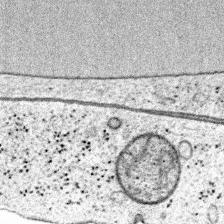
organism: Human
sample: HeLa cells